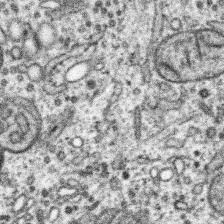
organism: Human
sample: HeLa cells